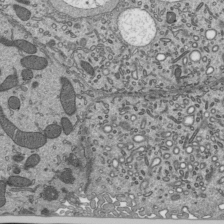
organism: Mouse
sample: Mouse epididymis efferent ductule cilia